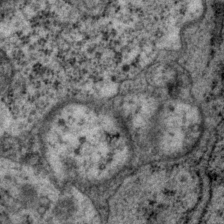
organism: P. pacificus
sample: Pharynx